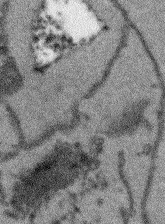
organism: Arabidopsis thaliana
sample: Root tip